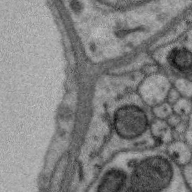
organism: Zebra finch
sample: Brain